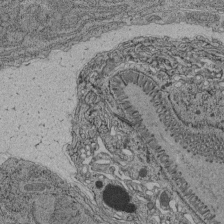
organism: C. elegans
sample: C. elegans pharynx